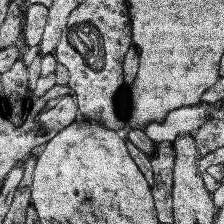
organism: Human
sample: Temporal Lobe